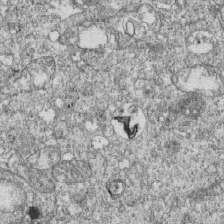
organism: Human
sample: HeLa cell HIV synapse